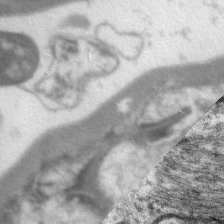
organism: C. elegans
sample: Pharynx